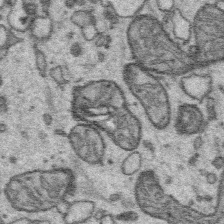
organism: Platynereis dumerilii